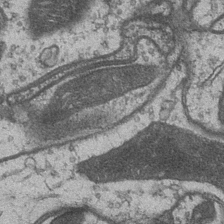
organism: Drosophila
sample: Optic medulla